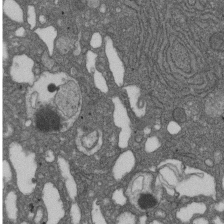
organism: Drosophila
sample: Nephrocyte